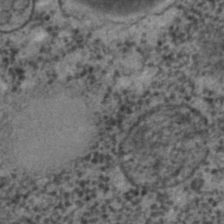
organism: C. elegans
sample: C. elegans embryo